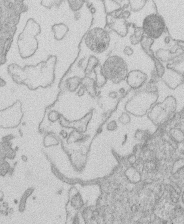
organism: Human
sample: Macrophage cells